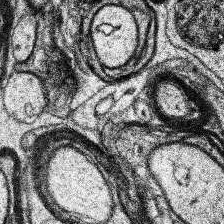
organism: Human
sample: Temporal Lobe